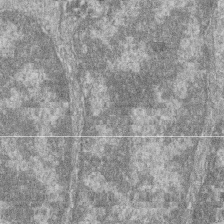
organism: Zebrafish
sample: Cilia; retinal pigment epithelium